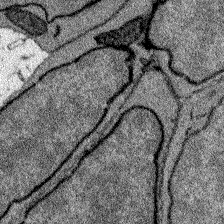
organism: Zebrafish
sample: Larval olfactory bulb